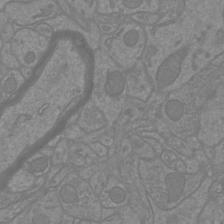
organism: Mouse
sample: Cortical neurons